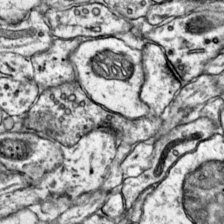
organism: Mouse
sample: Primary visual cortex